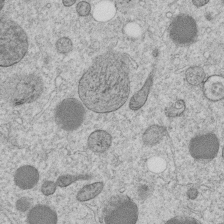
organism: C. elegans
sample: C. elegans embryo early stage